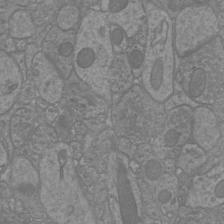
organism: Mouse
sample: Cortical neurons